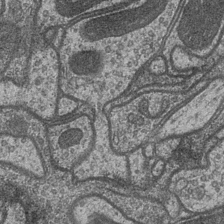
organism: Drosophila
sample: Optic medulla